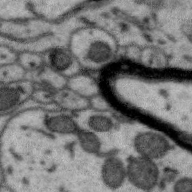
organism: Zebra finch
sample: Brain